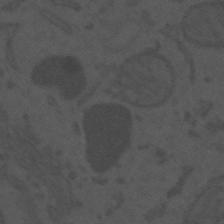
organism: Mouse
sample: Suprachiasmatic nucleus